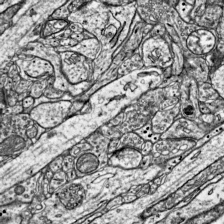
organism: Mouse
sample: Visual Cortex